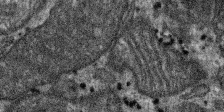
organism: Human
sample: Lung epithelial cells infected with SARS-CoV-2